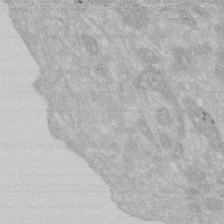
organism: Human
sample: HIV infected U937 cells